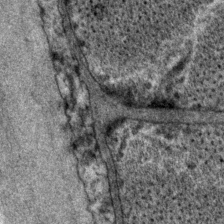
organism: P. pacificus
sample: Pharynx